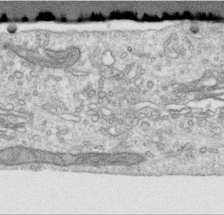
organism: Human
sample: Centriole in RPE cells